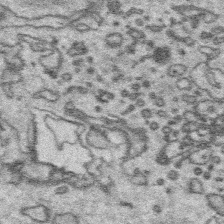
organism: Platynereis dumerilii